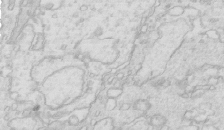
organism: Mouse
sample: Multiciliated cells